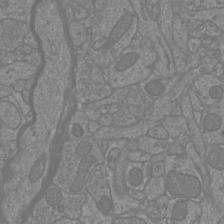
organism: Mouse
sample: Cortical neurons